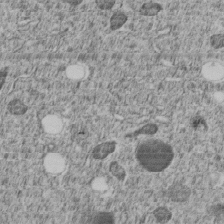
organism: C. elegans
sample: C. elegans embryo early stage